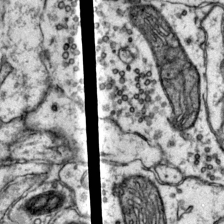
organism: Mouse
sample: Primary visual cortex